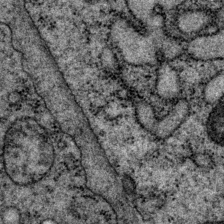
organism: P. pacificus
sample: Pharynx